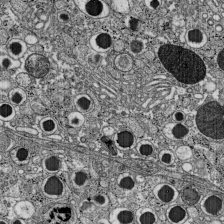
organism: C57BL Mouse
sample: Pancreatic islet